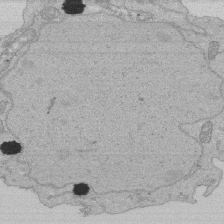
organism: Human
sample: Activated Jurkat CD4+ T cells